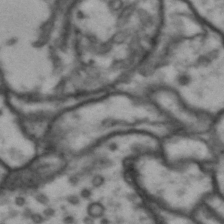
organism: Drosophila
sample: Brain